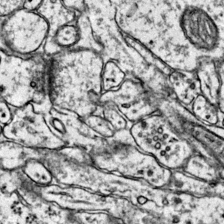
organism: Mouse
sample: Primary visual cortex